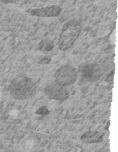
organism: C. elegans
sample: C. elegans embryo early stage